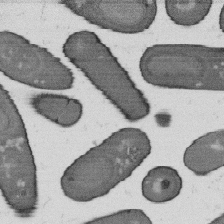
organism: B. subtilis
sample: Bacterial spore